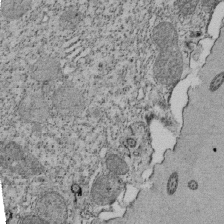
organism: Tetrahymena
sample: Cilia in tetrahymena